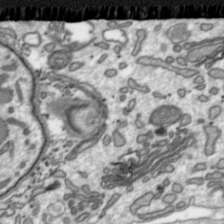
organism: Toxoplasma gondii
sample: Parasites in a vacuole inside a host cell